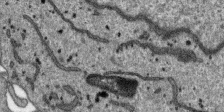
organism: Human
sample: Lung epithelial cells, uninfected (mock) control